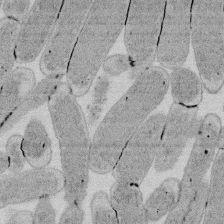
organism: E. coli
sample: Bacterial nucleoid